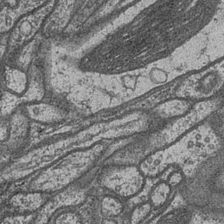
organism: Drosophila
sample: Optic medulla